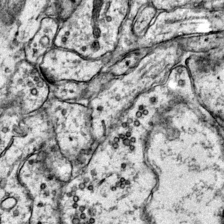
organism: Mouse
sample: Primary visual cortex